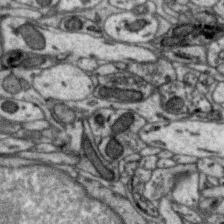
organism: Zebra finch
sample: Brain